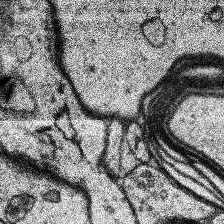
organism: Human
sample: Temporal Lobe